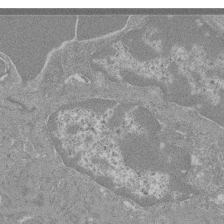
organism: Mouse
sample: Glomerulus